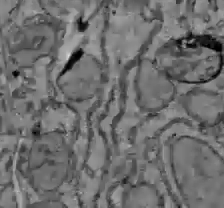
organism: C57BL Mouse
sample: Liver